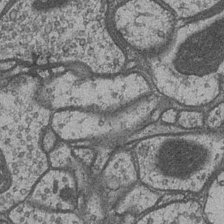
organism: Drosophila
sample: Optic medulla